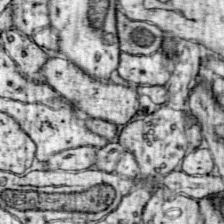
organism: Mouse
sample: Primary visual cortex